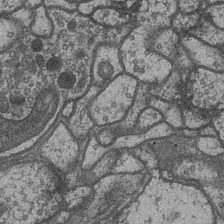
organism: Drosophila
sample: Optic medulla